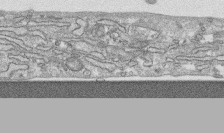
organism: Human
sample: CRL-1474